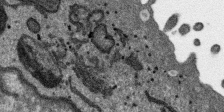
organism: Human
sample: Lung epithelial cells, uninfected (mock) control